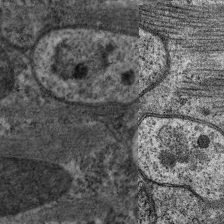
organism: C. elegans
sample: Pharynx